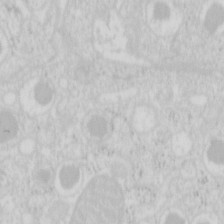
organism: Mouse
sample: Pancreas